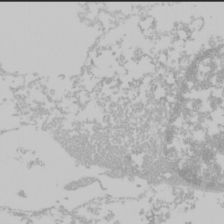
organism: Mouse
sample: Cancer cell death in ED-1 cells